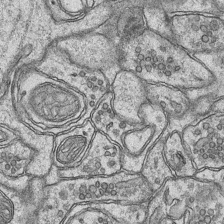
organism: Mouse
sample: CA1 Hippocampus